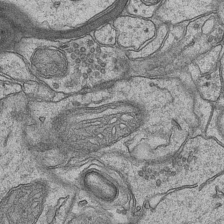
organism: Mouse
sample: CA1 Hippocampus